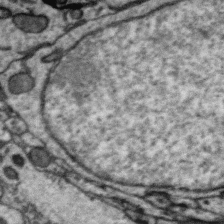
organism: Zebra finch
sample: Brain